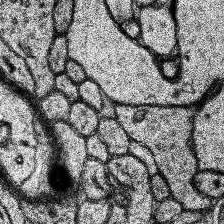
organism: Human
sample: Temporal Lobe